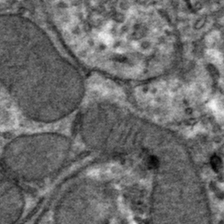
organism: Mouse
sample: Mouse hepatocytes